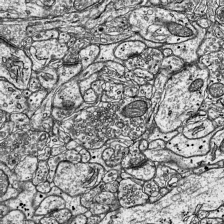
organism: Mouse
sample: Visual Cortex